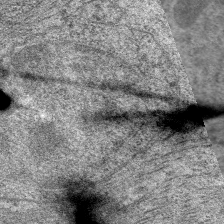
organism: C. elegans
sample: Pharynx